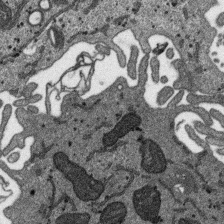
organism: Human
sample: Lung epithelial cells infected with SARS-CoV-2